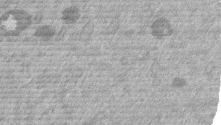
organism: Mouse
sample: Dividing mouse embryo 1 cell stage